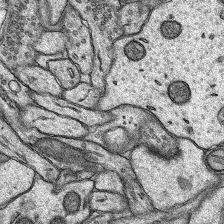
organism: Rat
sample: Hippocampus